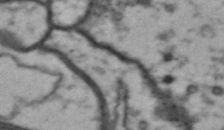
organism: Drosophila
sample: Brain